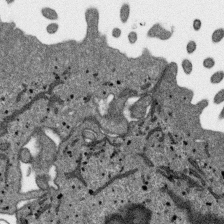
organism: Human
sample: Lung epithelial cells, uninfected (mock) control